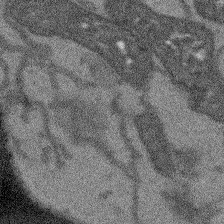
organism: Arabidopsis thaliana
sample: Root tip